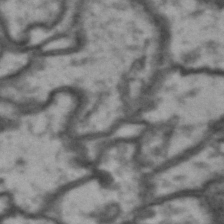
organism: Drosophila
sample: Brain